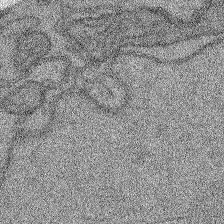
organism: Human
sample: HeLa cells